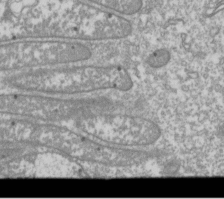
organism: Drosophila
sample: Cell division; meiosis; drosophila spermatocytes